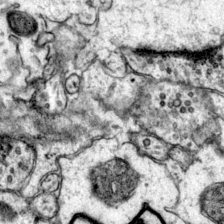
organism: Mouse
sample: Primary visual cortex